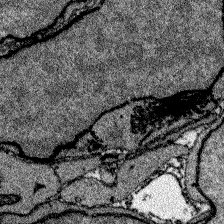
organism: Zebrafish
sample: Larval olfactory bulb